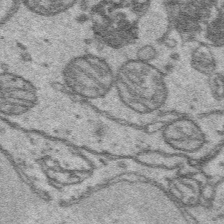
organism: Platynereis dumerilii